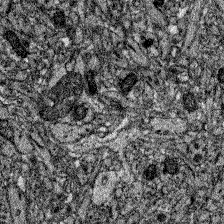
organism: Zebrafish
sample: Larval olfactory bulb